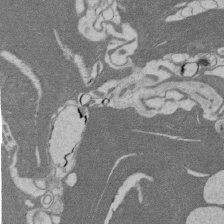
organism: Rat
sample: Salivary granule